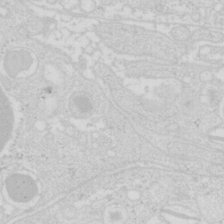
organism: Mouse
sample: Pancreas